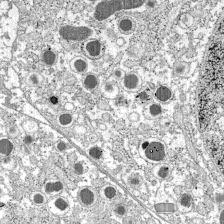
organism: C57BL Mouse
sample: Pancreatic islet